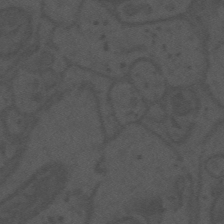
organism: Mouse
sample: Suprachiasmatic nucleus